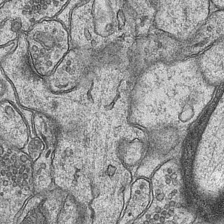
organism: Mouse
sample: CA1 Hippocampus